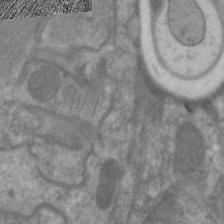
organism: C. elegans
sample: Pharynx